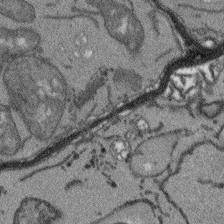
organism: Arabidopsis thaliana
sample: Root tip